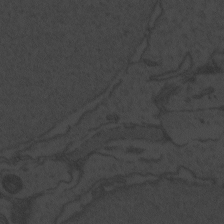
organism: Zebrafish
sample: Macrophage infected with Toxoplasma gondii